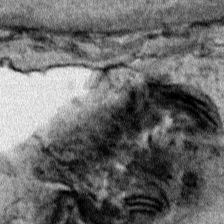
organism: Human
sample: Mitochondria in HCT116 cells